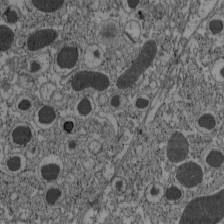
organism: C57BL Mouse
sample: Pancreatic islet